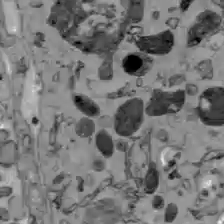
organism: C57BL Mouse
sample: Liver